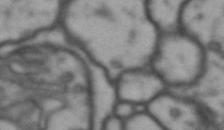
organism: Drosophila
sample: Brain